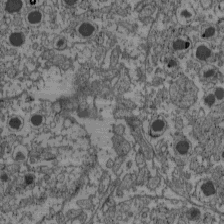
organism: C57BL Mouse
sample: Pancreatic islet